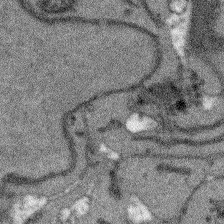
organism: Arabidopsis thaliana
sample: Root tip